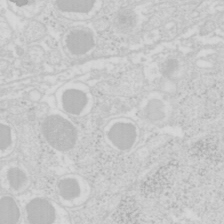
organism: Mouse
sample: Pancreas